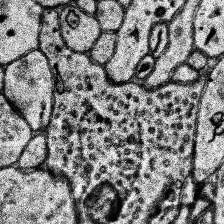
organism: Human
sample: Temporal Lobe